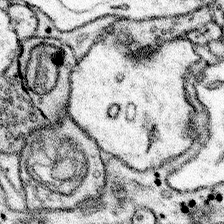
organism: Mouse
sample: Somatosensory cortex neuropil